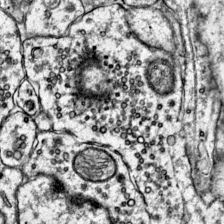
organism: Mouse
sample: Primary visual cortex